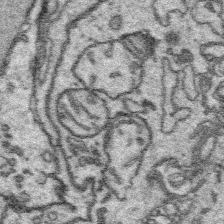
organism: Platynereis dumerilii